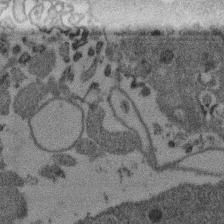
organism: Mouse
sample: Dividing mouse embryo 1 cell stage